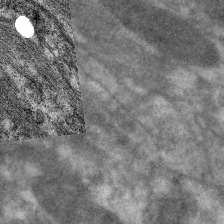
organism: C. elegans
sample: Pharynx